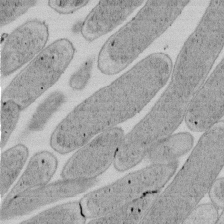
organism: E. coli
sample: Bacterial nucleoid